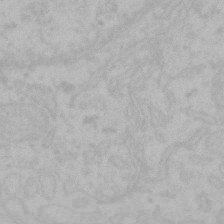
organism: Mouse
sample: Choroid plexus